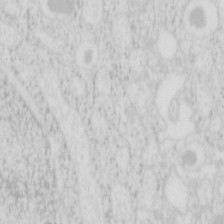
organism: Mouse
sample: Pancreas